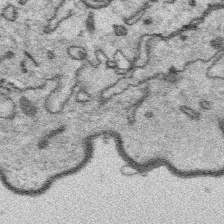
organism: Platynereis dumerilii